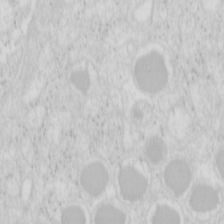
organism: Mouse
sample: Pancreas